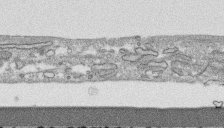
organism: Human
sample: CRL-1474